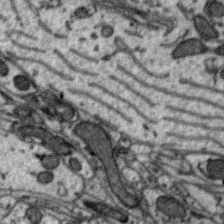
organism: Zebra finch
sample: Brain